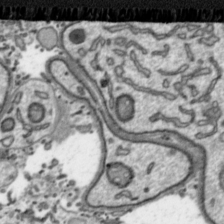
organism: Toxoplasma gondii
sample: Parasites in a vacuole inside a host cell